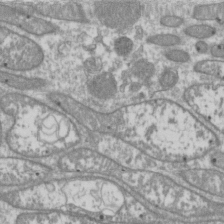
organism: Drosophila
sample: Cell division; meiosis; drosophila spermatocytes